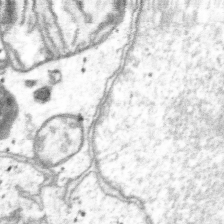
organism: Human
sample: HeLa cells